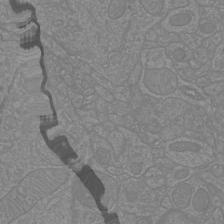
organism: Mouse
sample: Cortical neurons